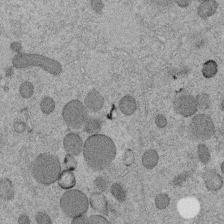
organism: C. elegans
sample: C. elegans embryo early stage